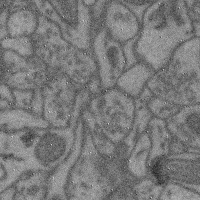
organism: Mouse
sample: Cerebral cortex